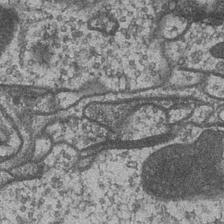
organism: Drosophila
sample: Optic medulla